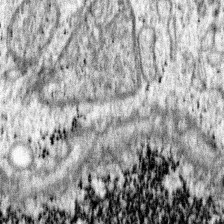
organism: Human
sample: HeLa cells